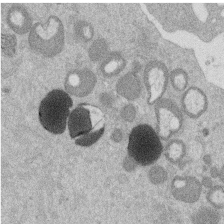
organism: Mouse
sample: Dividing mouse embryo 1 cell stage